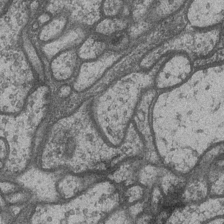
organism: Drosophila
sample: Optic medulla